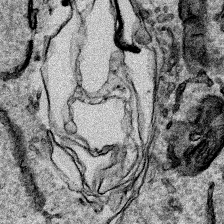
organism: Human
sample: Mitochondria in HCT116 cells